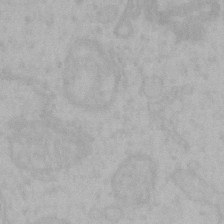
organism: Mouse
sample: Choroid plexus